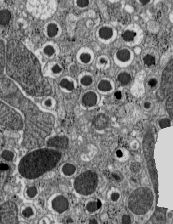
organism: C57BL Mouse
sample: Pancreatic islet